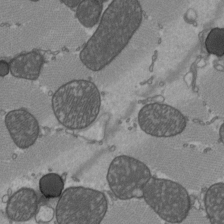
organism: C57BL Mouse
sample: Heart